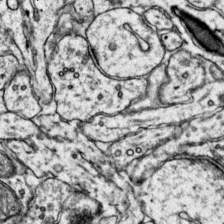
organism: Mouse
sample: Primary visual cortex